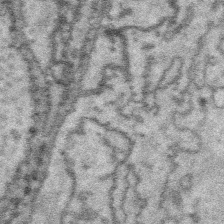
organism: Platynereis dumerilii